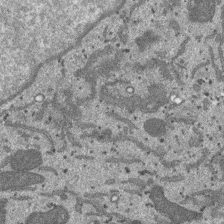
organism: Human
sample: Lung epithelial cells infected with SARS-CoV-2